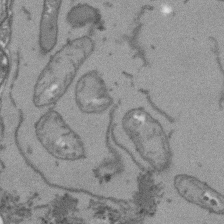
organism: Arabidopsis thaliana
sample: Root tip